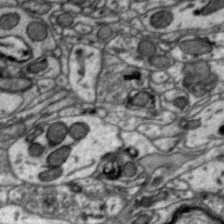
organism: Zebra finch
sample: Brain